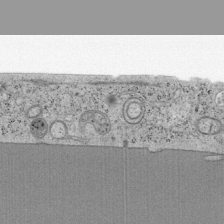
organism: Human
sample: HeLa cells